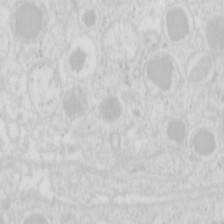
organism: Mouse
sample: Pancreas